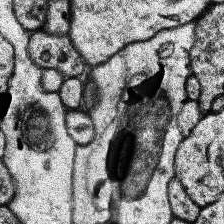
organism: Human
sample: Temporal Lobe